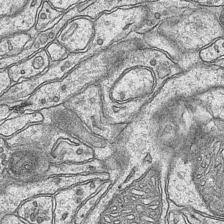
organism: Mouse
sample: CA1 Hippocampus